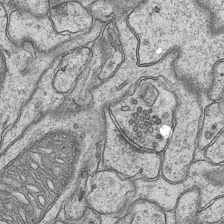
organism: Mouse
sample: CA1 Hippocampus